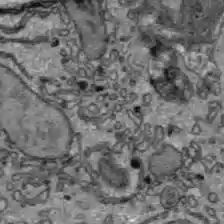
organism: C57BL Mouse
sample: Liver